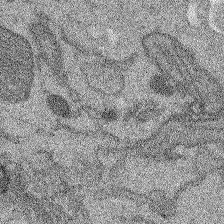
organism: Human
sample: HeLa cells